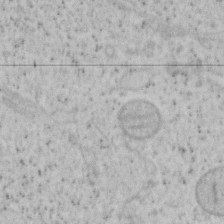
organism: Human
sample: HeLa cells